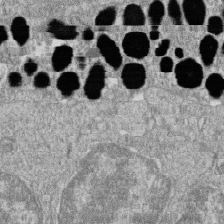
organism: Zebrafish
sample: Cilia; retinal pigment epithelium